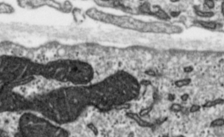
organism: Toxoplasma gondii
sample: Parasites in a vacuole inside a host cell